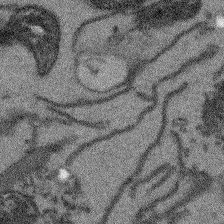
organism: Arabidopsis thaliana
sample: Root tip